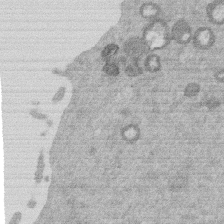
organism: Mouse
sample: Dividing mouse embryo 1 cell stage